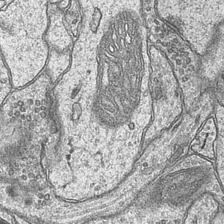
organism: Mouse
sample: CA1 Hippocampus